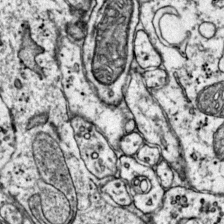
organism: Mouse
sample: Primary visual cortex